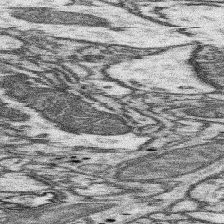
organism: Mouse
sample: Somatosensory cortex neuropil